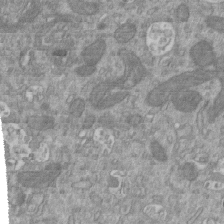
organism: Mouse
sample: ED-1 cell nuclei; centrioles